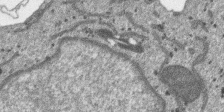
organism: Human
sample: Lung epithelial cells infected with SARS-CoV-2